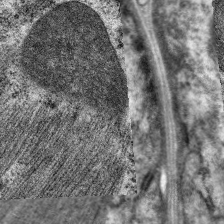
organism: C. elegans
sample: Pharynx